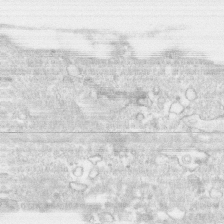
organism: Human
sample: CRL-1474